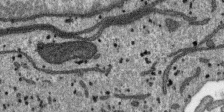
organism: Human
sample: Lung epithelial cells, uninfected (mock) control